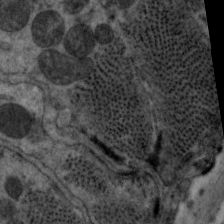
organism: C. elegans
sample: Pharynx